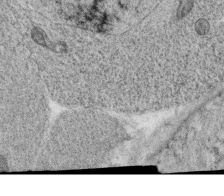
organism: C. elegans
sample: C. elegans oocyte; sperm cells